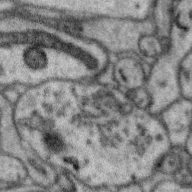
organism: Zebra finch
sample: Brain